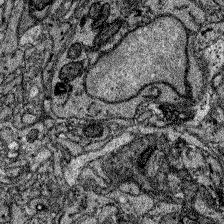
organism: Zebrafish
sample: Larval olfactory bulb